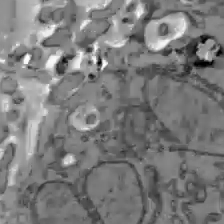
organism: C57BL Mouse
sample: Liver